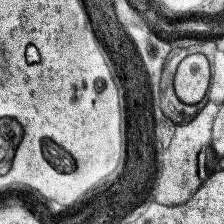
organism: Human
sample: Temporal Lobe